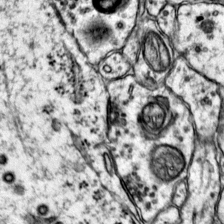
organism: Mouse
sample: Primary visual cortex